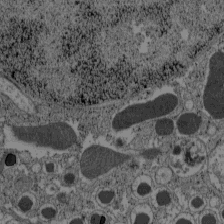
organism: C57BL Mouse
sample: Pancreatic islet